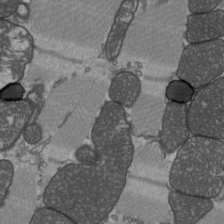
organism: C57BL Mouse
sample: Heart